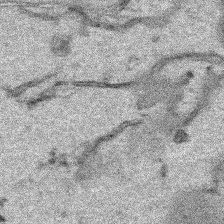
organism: Human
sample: Mitochondria in HCT116 cells